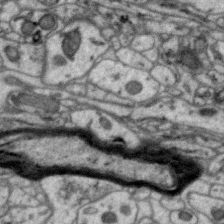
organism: Zebra finch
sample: Brain